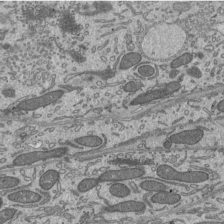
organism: Mouse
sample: Mouse epididymis efferent ductule cilia